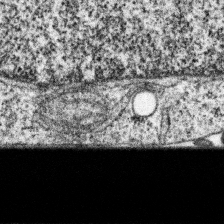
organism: Human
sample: HeLa cells